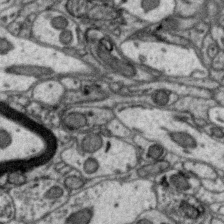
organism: Zebra finch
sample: Brain